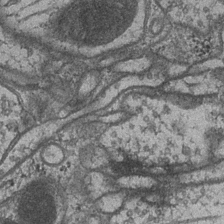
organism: Drosophila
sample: Optic medulla